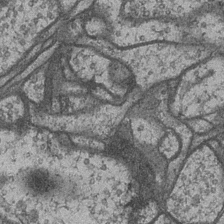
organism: Drosophila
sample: Optic medulla